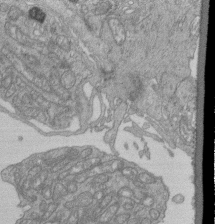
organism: Human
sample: Retinal organoid Rod and Cone cells